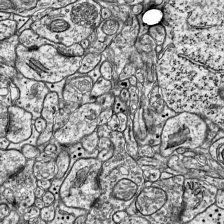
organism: Mouse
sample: Visual Cortex